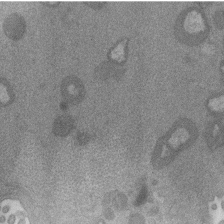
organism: Mouse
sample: Dividing mouse embryo 1 cell stage